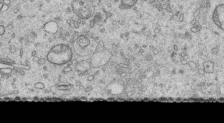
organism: Human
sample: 1205lu cells